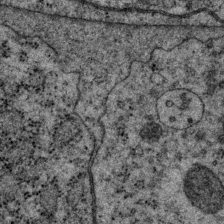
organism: P. pacificus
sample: Pharynx